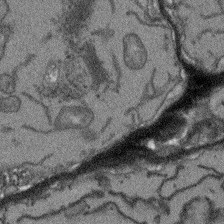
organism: Arabidopsis thaliana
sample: Root tip